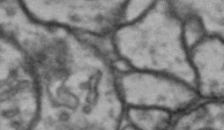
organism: Drosophila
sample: Brain